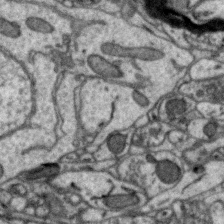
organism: Zebra finch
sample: Brain